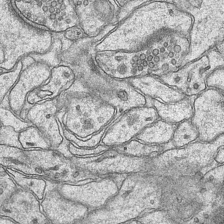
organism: Mouse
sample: CA1 Hippocampus